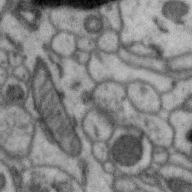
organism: Zebra finch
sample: Brain